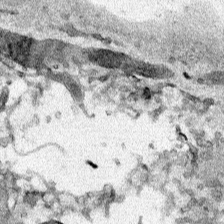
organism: Human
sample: Mitochondria in HCT116 cells